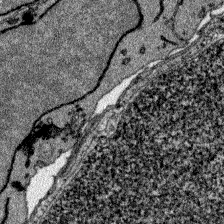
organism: Zebrafish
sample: Larval olfactory bulb